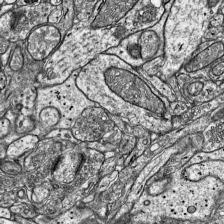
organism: Mouse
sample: Visual Cortex